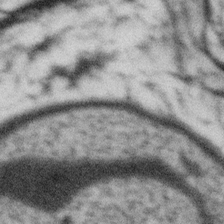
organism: Gemmata obscuriglobus